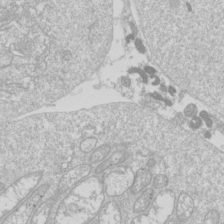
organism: Drosophila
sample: Cell division; meiosis; drosophila spermatocytes